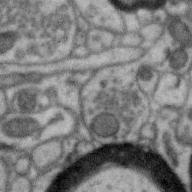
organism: Zebra finch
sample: Brain